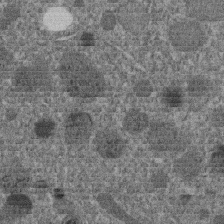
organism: C. elegans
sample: C. elegans embryo early stage